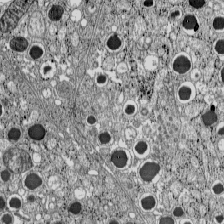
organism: C57BL Mouse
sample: Pancreatic islet